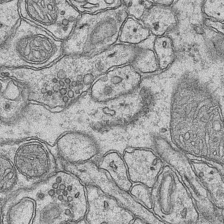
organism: Mouse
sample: CA1 Hippocampus